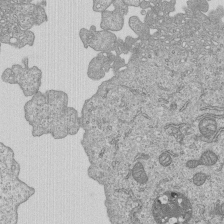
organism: Human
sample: MDA-MB-231 cells